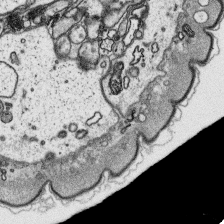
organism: Platynereis dumerilii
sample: Parapodia